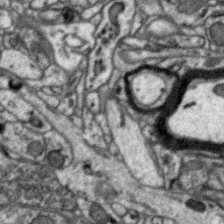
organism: Zebra finch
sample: Brain